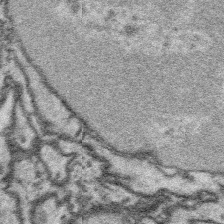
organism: Platynereis dumerilii